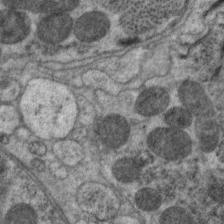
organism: C. elegans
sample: Pharynx